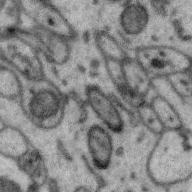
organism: Zebra finch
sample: Brain